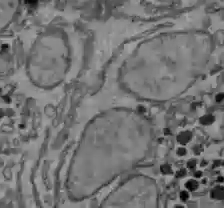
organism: C57BL Mouse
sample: Liver